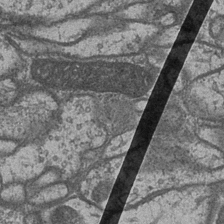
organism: Drosophila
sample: Optic medulla